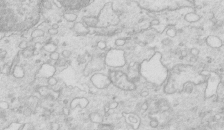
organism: Mouse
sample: Multiciliated cells